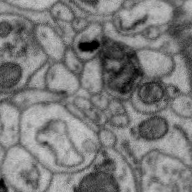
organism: Zebra finch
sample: Brain